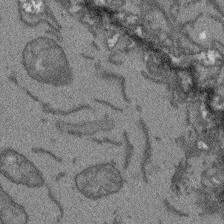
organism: Arabidopsis thaliana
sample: Root tip